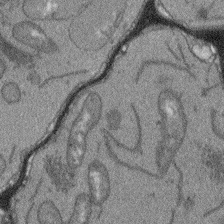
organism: Arabidopsis thaliana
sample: Root tip